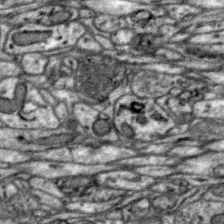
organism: Zebra finch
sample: Brain